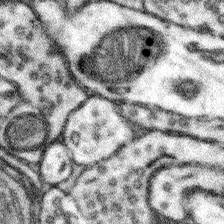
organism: Mouse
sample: Somatosensory cortex neuropil